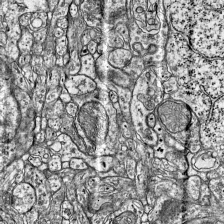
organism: Mouse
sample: Visual Cortex